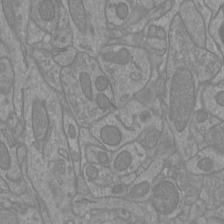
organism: Mouse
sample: Cortical neurons